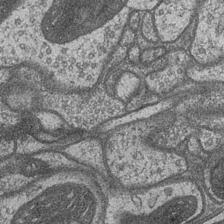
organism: Drosophila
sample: Optic medulla